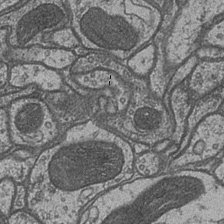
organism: Drosophila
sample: Optic medulla